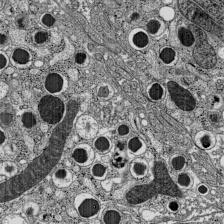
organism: C57BL Mouse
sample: Pancreatic islet